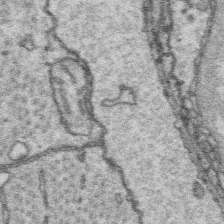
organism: Platynereis dumerilii